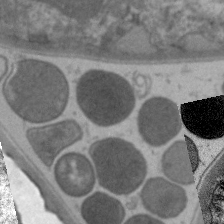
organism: C. elegans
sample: Pharynx